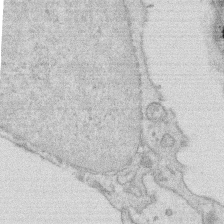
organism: Rat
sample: Salivary granule